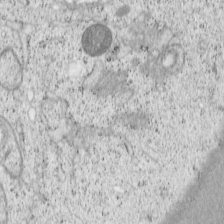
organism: African green monkey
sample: COS-7 cells